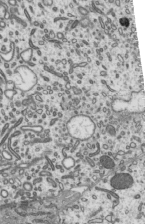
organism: Mouse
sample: Mouse epididymis efferent ductule cilia